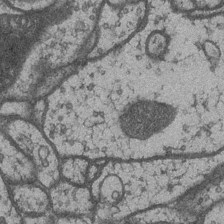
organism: Drosophila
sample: Optic medulla